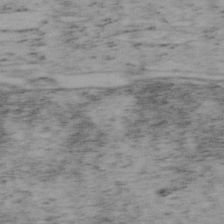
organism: Mouse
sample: OT-I killer T cells with ID8 ovarian cancer cells